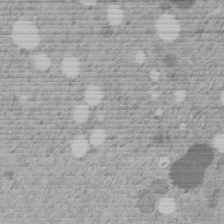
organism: C. elegans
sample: C. elegans embryo early stage